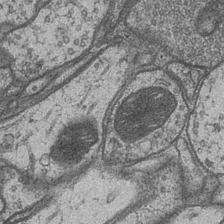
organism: Drosophila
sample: Optic medulla